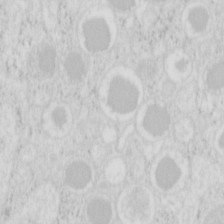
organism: Mouse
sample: Pancreas